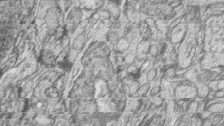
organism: Zebrafish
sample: synaptic ribbons in rod cells and cone cells